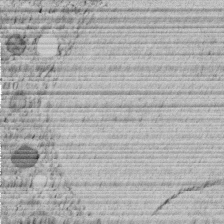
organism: C. elegans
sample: C. elegans embryo early stage